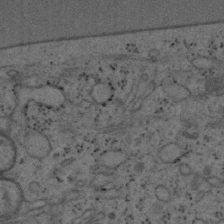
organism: Human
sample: HeLa cells